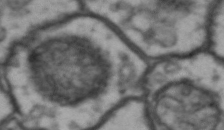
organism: Drosophila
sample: Brain